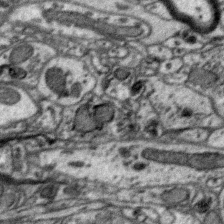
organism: Zebra finch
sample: Brain